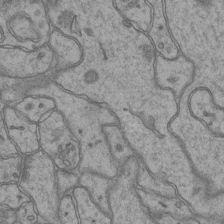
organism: Mouse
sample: CA1 Hippocampus